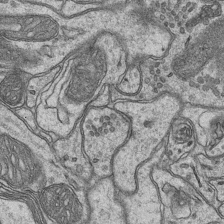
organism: Mouse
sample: CA1 Hippocampus